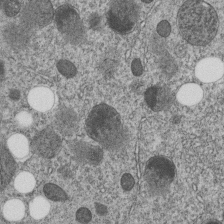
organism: C. elegans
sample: C. elegans embryo early stage